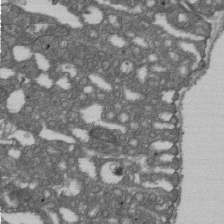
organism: Drosophila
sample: Nephrocyte